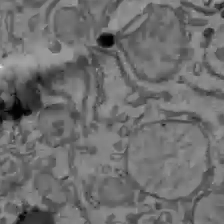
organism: C57BL Mouse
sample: Liver